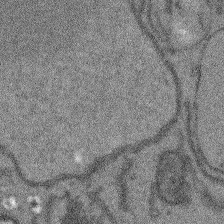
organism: Arabidopsis thaliana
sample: Root tip